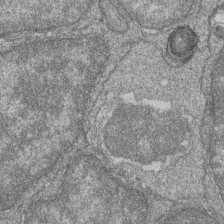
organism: Zebrafish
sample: Cilia; retinal pigment epithelium